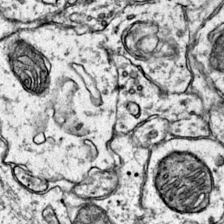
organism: Mouse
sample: Primary visual cortex